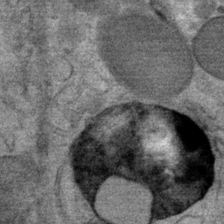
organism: Mouse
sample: Mouse Salivary gland